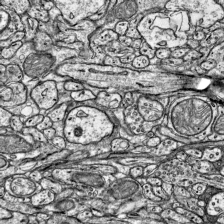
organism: Mouse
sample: Visual Cortex